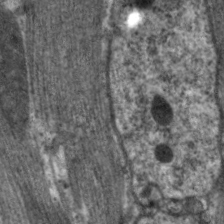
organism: C. elegans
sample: Pharynx